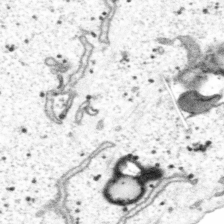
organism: Human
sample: HeLa cells